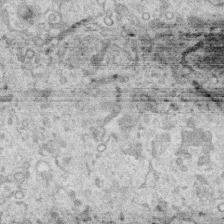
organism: Human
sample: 1205lu cells